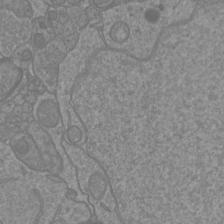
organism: Mouse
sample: Cortical neurons